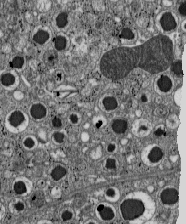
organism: C57BL Mouse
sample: Pancreatic islet